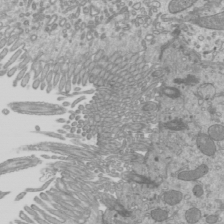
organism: Mouse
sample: Cilia; mouse epididymis